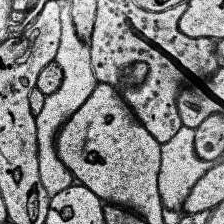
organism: Human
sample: Temporal Lobe